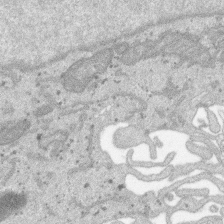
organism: Human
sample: Lung epithelial cells infected with SARS-CoV-2